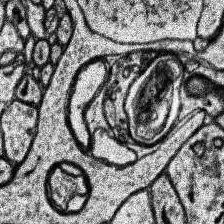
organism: Human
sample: Temporal Lobe